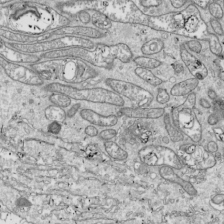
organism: Drosophila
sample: Cell division; meiosis; drosophila spermatocytes